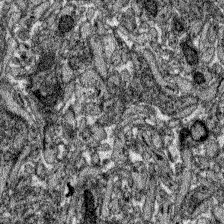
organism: Zebrafish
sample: Larval olfactory bulb